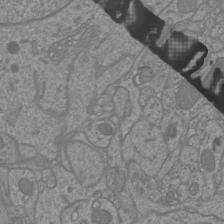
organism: Mouse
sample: Cortical neurons